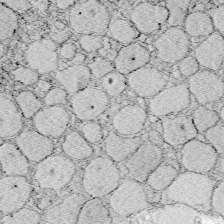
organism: Zebrafish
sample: Whole-Brain